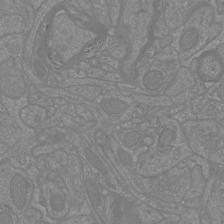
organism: Mouse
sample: Cortical neurons